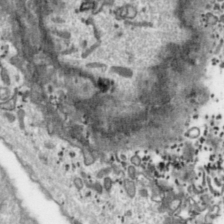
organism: Toxoplasma gondii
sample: Parasites in a vacuole inside a host cell